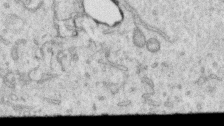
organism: Human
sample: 1205lu cells